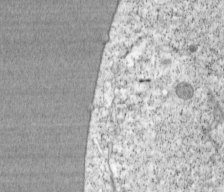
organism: African green monkey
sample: COS-7 cells